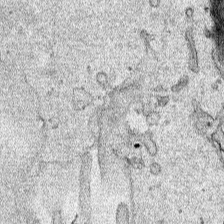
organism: Human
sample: Mitochondria in HCT116 cells